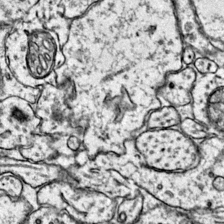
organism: Mouse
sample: Primary visual cortex